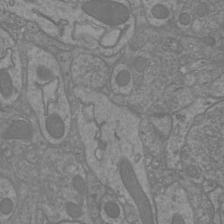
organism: Mouse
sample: Cortical neurons